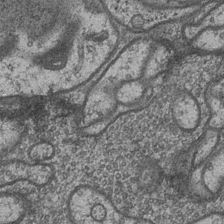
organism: Drosophila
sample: Optic medulla